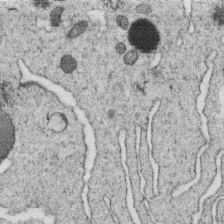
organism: C. elegans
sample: C. elegans oocyte; sperm cells